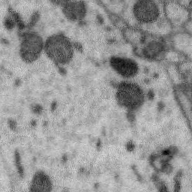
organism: Zebra finch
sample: Brain